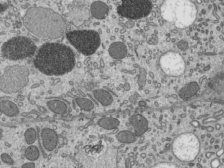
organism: Mouse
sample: Mouse epididymis efferent ductule cilia